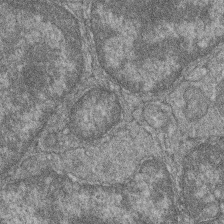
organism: Zebrafish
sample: Cilia; retinal pigment epithelium